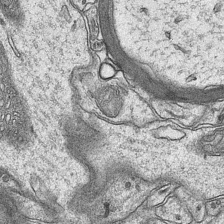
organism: Mouse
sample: CA1 Hippocampus